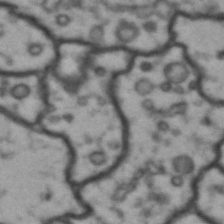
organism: Drosophila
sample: Brain